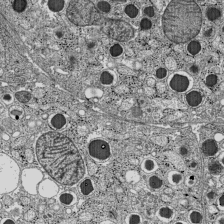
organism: C57BL Mouse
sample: Pancreatic islet